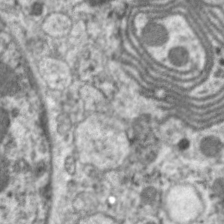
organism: C. elegans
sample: Pharynx